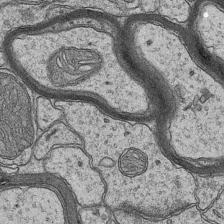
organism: Mouse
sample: CA1 Hippocampus